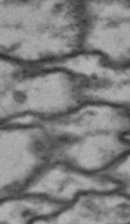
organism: Drosophila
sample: Brain